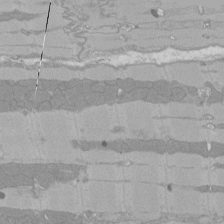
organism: Rat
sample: Left ventricle